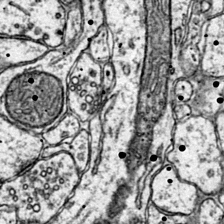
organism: Mouse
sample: Primary visual cortex